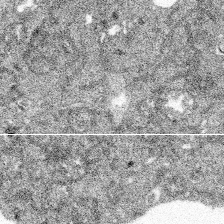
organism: Spongilla lacustris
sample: Multiple